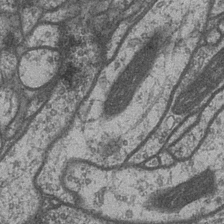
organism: Drosophila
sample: Optic medulla